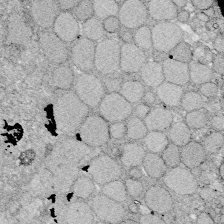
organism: Zebrafish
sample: Whole-Brain